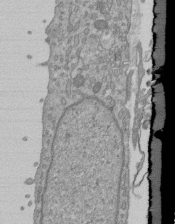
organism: Mouse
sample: ED-1 cell nuclei; centrioles